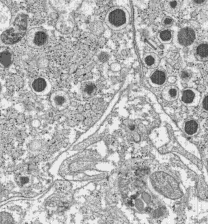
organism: C57BL Mouse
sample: Pancreatic islet